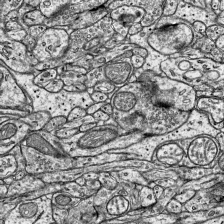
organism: Mouse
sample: Visual Cortex